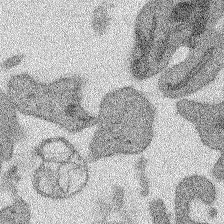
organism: Human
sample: HeLa cells